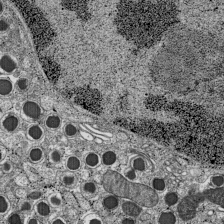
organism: C57BL Mouse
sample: Pancreatic islet